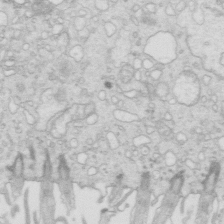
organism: Mouse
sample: Multiciliated cells